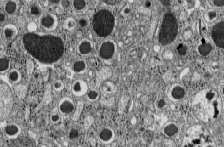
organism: C57BL Mouse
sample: Pancreatic islet